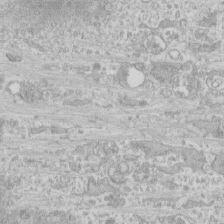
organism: Human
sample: CRL-1474